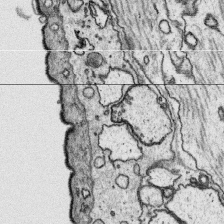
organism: Platynereis dumerilii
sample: Parapodia